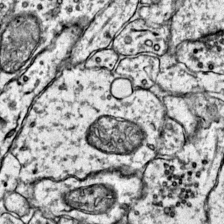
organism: Mouse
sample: Primary visual cortex